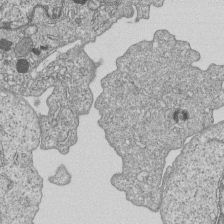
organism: Human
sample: MDA-MB-231 cells